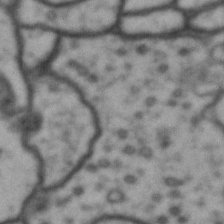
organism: Drosophila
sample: Brain